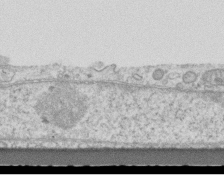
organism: Mouse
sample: Centriole in ependymal cells